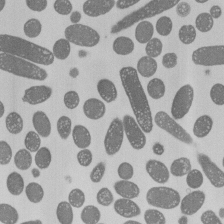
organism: E. coli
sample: Bacterial nucleoid